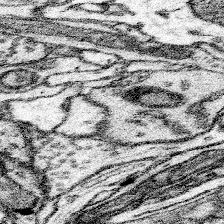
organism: Mouse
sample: Somatosensory cortex neuropil